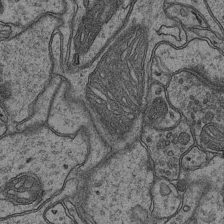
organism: Mouse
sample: CA1 Hippocampus